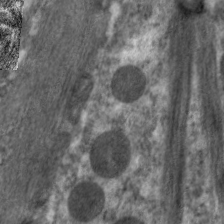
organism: C. elegans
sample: Pharynx